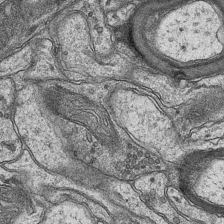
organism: Mouse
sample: CA1 Hippocampus